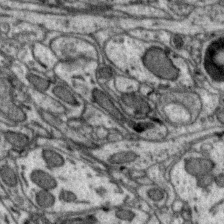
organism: Zebra finch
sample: Brain